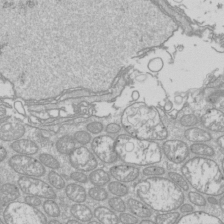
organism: Drosophila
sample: Cell division; meiosis; drosophila spermatocytes